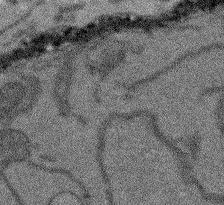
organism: Arabidopsis thaliana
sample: Root tip